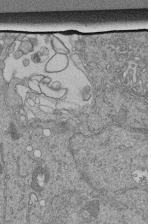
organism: Human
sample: Retinal organoid Rod and Cone cells